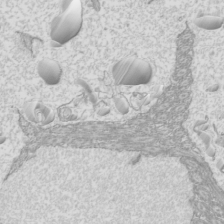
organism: Mouse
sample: Cilia; mouse epididymis